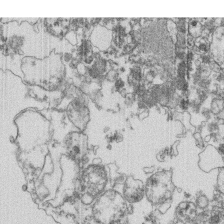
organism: Human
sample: HeLa cell HIV synapse